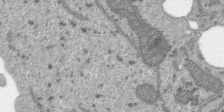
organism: Human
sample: Lung epithelial cells infected with SARS-CoV-2